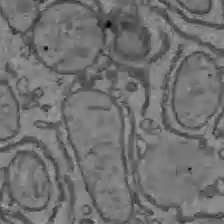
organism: C57BL Mouse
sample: Liver